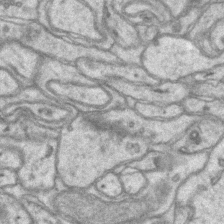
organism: Mouse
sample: CA1 Hippocampus